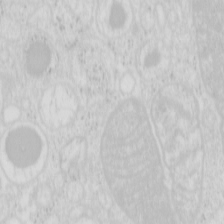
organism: Mouse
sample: Pancreas